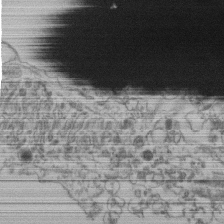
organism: Human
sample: Retinal organoid Rod and Cone cells